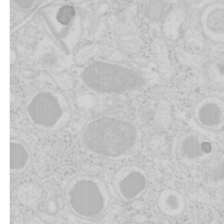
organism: Mouse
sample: Pancreas